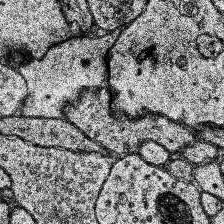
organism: Human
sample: Temporal Lobe